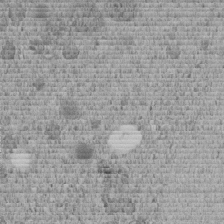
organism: C. elegans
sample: C. elegans embryo early stage